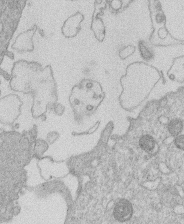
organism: Human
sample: Macrophage cells